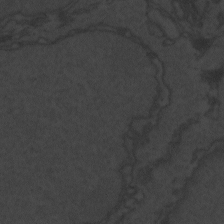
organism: Zebrafish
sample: Macrophage infected with Toxoplasma gondii